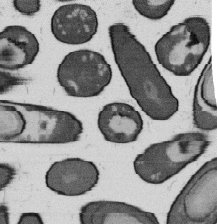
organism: B. subtilis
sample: Bacterial spore